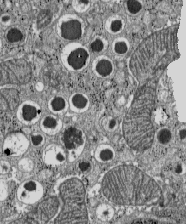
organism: C57BL Mouse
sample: Pancreatic islet